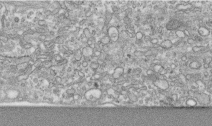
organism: Human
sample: Centriole in RPE cells